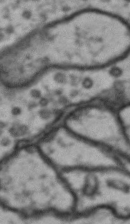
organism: Drosophila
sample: Brain